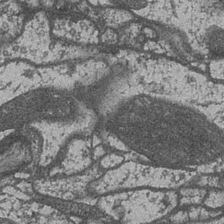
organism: Drosophila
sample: Optic medulla